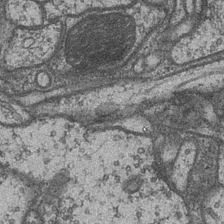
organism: Drosophila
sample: Optic medulla